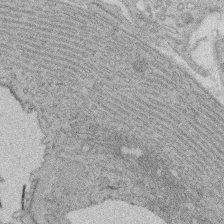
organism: Rat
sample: Salivary granule